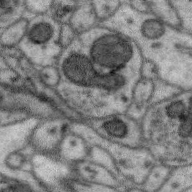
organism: Zebra finch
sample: Brain